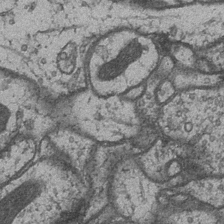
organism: Drosophila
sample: Optic medulla